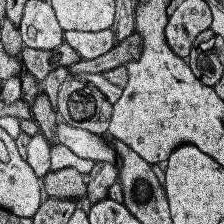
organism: Human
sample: Temporal Lobe